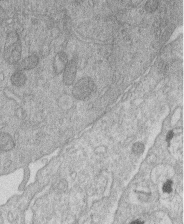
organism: Human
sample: Macrophage cells